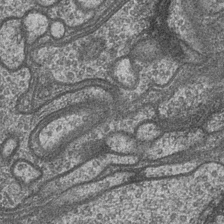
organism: Drosophila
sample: Optic medulla